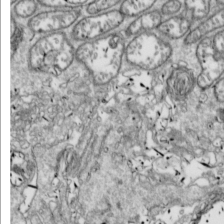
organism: Drosophila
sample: Cell division; meiosis; drosophila spermatocytes